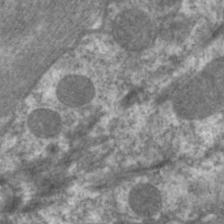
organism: C. elegans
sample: Pharynx